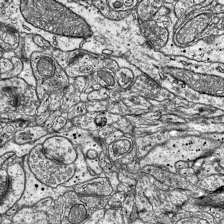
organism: Mouse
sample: Visual Cortex